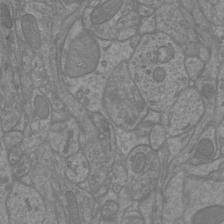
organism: Mouse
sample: Cortical neurons